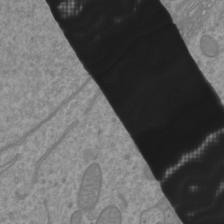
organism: Mouse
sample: Cortical neurons